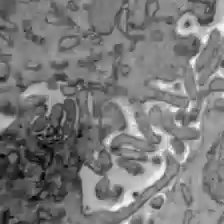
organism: C57BL Mouse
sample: Liver